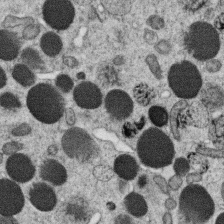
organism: C. elegans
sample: C. elegans oocyte; sperm cells